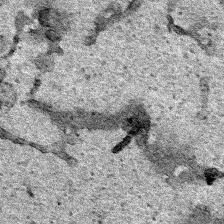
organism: Human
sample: Mitochondria in HCT116 cells